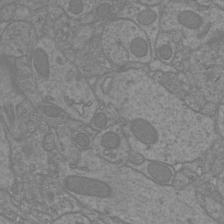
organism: Mouse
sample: Cortical neurons